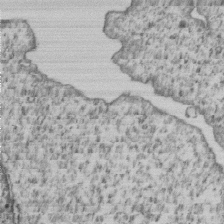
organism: Human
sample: MDA-MB-231 cells